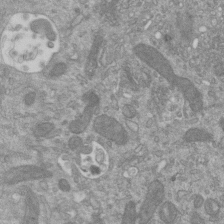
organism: Mouse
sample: ED-1 cell nuclei; centrioles